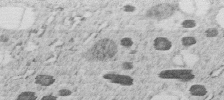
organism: C. elegans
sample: C. elegans embryo early stage